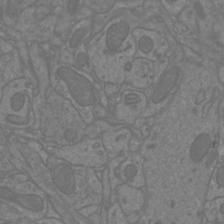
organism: Mouse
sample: Cortical neurons